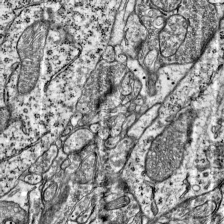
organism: Mouse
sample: Visual Cortex